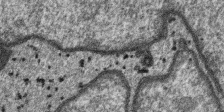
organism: Human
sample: Lung epithelial cells infected with SARS-CoV-2